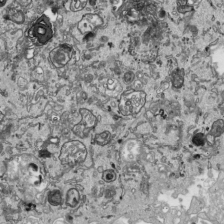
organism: Human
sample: Mitochondria in HCT116 cells